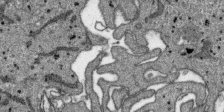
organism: Human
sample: Lung epithelial cells, uninfected (mock) control